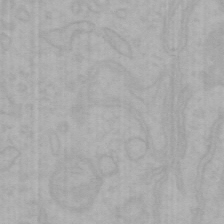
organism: Mouse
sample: Choroid plexus